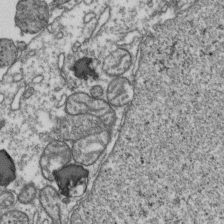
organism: Human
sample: Activated Jurkat CD4+ T cells